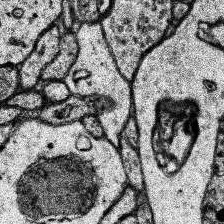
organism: Human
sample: Temporal Lobe